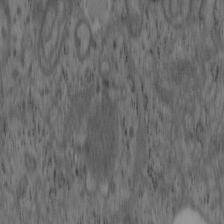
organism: Human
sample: HeLa cells